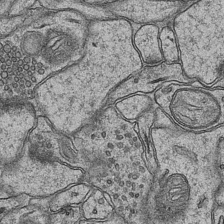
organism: Mouse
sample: CA1 Hippocampus